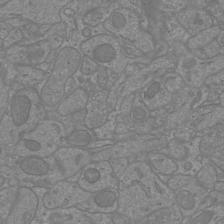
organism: Mouse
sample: Cortical neurons